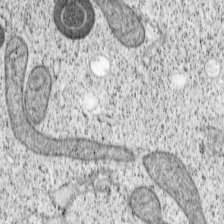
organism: African green monkey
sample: COS-7 cells